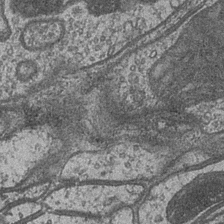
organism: Drosophila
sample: Optic medulla